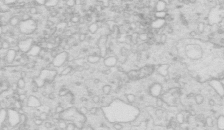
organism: Mouse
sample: Multiciliated cells